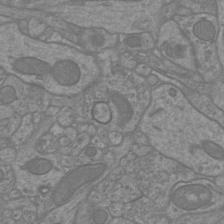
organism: Mouse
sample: Cortical neurons